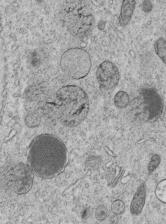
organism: C. elegans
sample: C. elegans embryo early stage